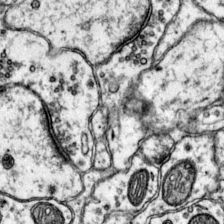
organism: Mouse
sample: Primary visual cortex